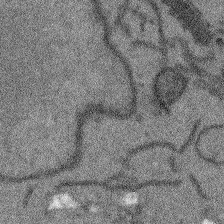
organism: Arabidopsis thaliana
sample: Root tip